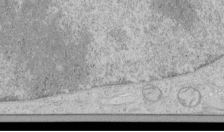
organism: Human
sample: Mitochondria in HCT116 cells